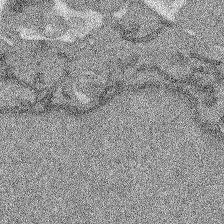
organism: Human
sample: HeLa cells